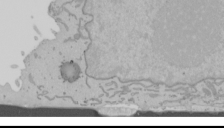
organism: Mouse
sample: Cancer cell death in ED-1 cells